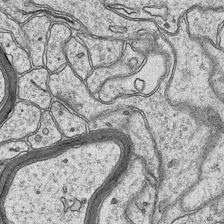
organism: Mouse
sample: CA1 Hippocampus